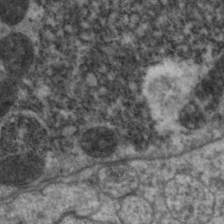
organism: C. elegans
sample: Pharynx